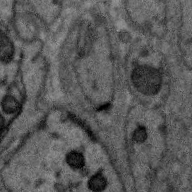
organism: Zebra finch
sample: Brain